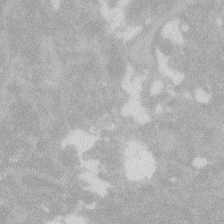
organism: Zebrafish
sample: Macrophage